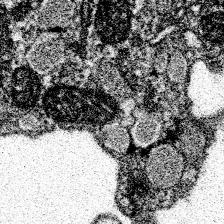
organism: Spongilla lacustris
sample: Neuroid cell